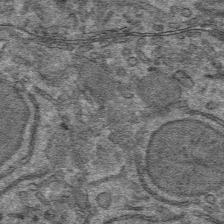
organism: Mouse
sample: Mouse hepatocytes